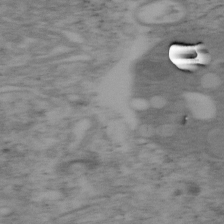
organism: Mouse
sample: OT-I killer T cells with ID8 ovarian cancer cells